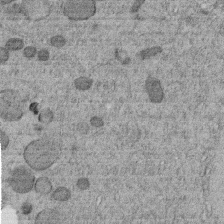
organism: C. elegans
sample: C. elegans embryo early stage